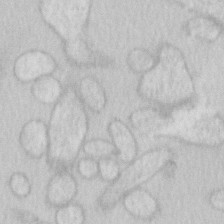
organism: Human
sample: HeLa cells